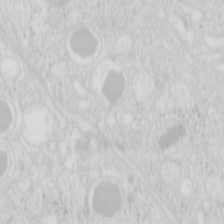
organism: Mouse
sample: Pancreas